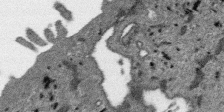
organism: Human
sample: Lung epithelial cells, uninfected (mock) control